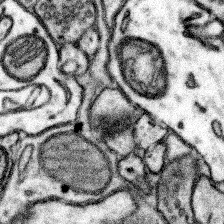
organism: Mouse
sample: Somatosensory cortex neuropil